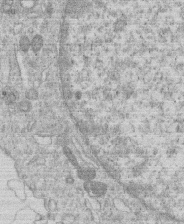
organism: Human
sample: Macrophage cells